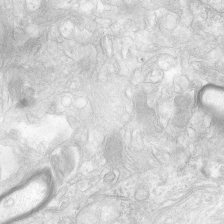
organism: Human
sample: Neocortex